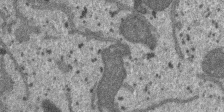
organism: Human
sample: Lung epithelial cells infected with SARS-CoV-2